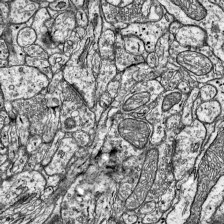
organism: Mouse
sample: Visual Cortex